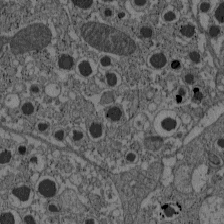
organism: C57BL Mouse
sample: Pancreatic islet